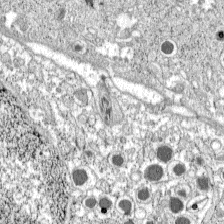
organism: C57BL Mouse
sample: Pancreatic islet